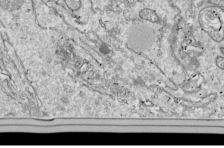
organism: Drosophila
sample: Cell division; meiosis; drosophila spermatocytes